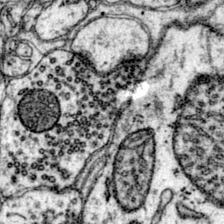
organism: Mouse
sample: Primary visual cortex